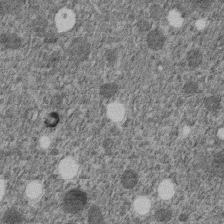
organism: C. elegans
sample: C. elegans embryo early stage